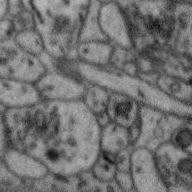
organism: Zebra finch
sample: Brain